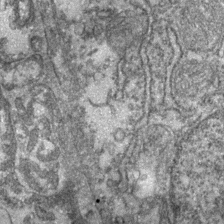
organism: Zebrafish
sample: Zebrafish embryo